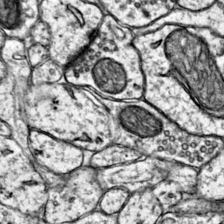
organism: Mouse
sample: Primary visual cortex